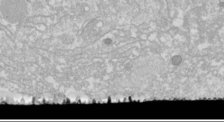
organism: Drosophila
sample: Cell division; meiosis; drosophila spermatocytes